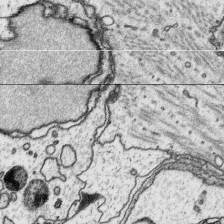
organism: Platynereis dumerilii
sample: Parapodia